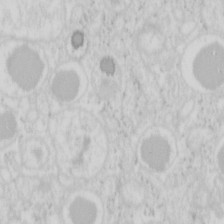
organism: Mouse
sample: Pancreas